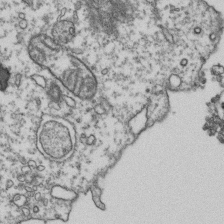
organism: Human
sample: Activated Jurkat CD4+ T cells